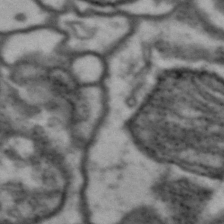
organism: Drosophila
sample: Brain